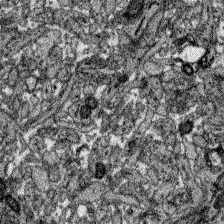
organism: Zebrafish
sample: Larval olfactory bulb